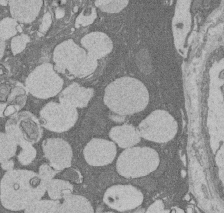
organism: Rat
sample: Salivary granule